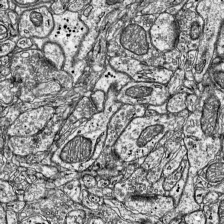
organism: Mouse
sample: Visual Cortex